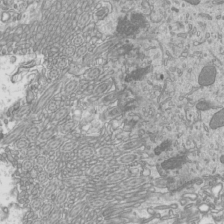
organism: Mouse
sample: Cilia; mouse epididymis